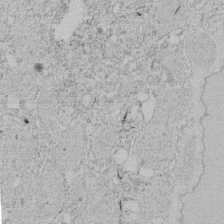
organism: Tetrahymena